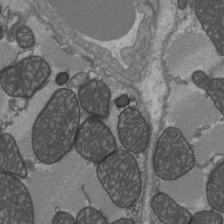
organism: C57BL Mouse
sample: Heart